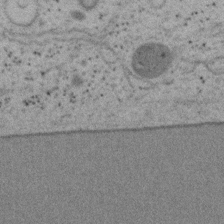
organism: Human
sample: HeLa cells